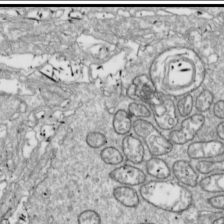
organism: Drosophila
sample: Cell division; meiosis; drosophila spermatocytes